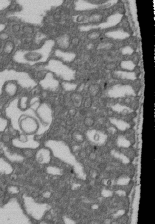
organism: Drosophila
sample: Nephrocyte